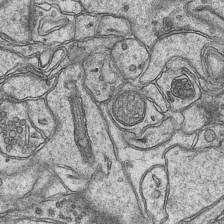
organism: Mouse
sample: CA1 Hippocampus